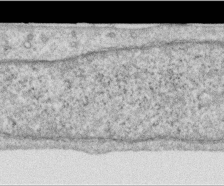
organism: Human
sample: Centriole in RPE cells